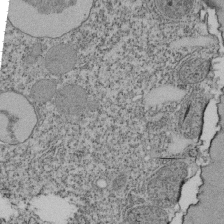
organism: Tetrahymena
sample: Cilia in tetrahymena